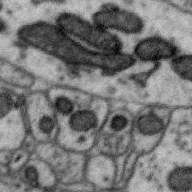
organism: Zebra finch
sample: Brain